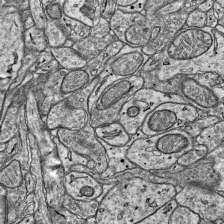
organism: Mouse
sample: Visual Cortex